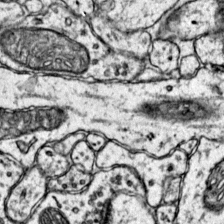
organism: Mouse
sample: Primary visual cortex